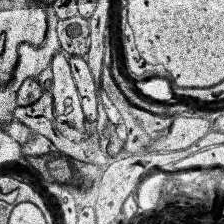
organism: Human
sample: Temporal Lobe